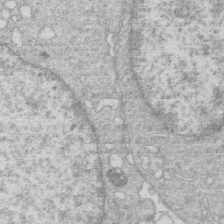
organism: Human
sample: Macrophage cells